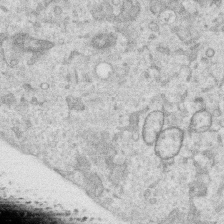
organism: Human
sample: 1205lu cells